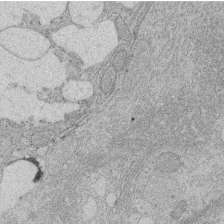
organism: Rat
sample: Salivary granule